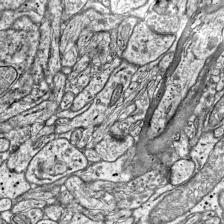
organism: Mouse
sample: Visual Cortex